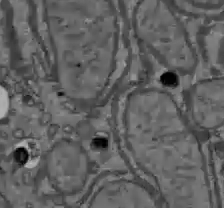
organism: C57BL Mouse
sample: Liver